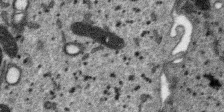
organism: Human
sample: Lung epithelial cells infected with SARS-CoV-2